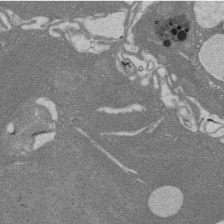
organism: Rat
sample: Salivary granule